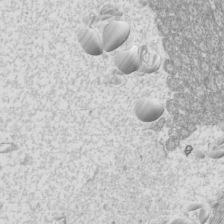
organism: Mouse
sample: Cilia; mouse epididymis